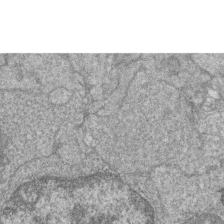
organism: Zebrafish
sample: Cilia; retinal pigment epithelium